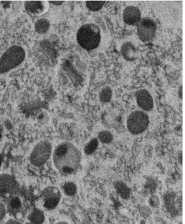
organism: C. elegans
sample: C. elegans oocyte; sperm cells